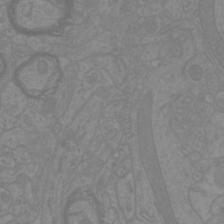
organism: Mouse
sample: Cortical neurons